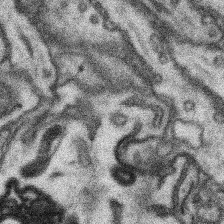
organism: Mouse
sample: Somatosensory cortex neuropil